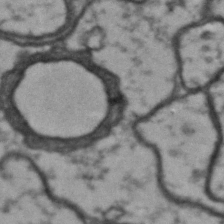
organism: Drosophila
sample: Brain